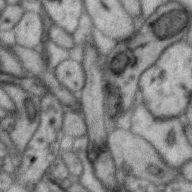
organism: Zebra finch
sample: Brain